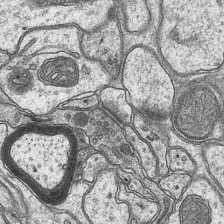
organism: Mouse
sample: CA1 Hippocampus